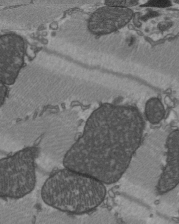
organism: C57BL Mouse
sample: Heart